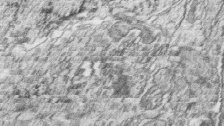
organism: Zebrafish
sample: synaptic ribbons in rod cells and cone cells